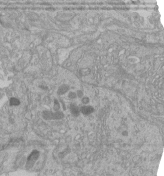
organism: Human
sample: Retinal organoid Rod and Cone cells